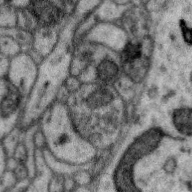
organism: Zebra finch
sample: Brain